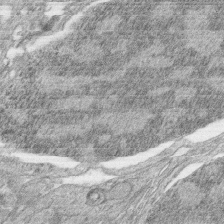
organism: Zebrafish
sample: synaptic ribbons in rod cells and cone cells